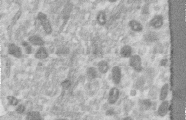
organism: Human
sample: Centriole in RPE cells